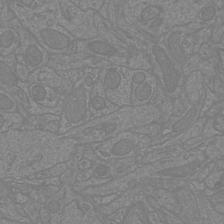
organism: Mouse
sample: Cortical neurons